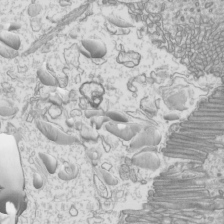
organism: Mouse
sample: Cilia; mouse epididymis